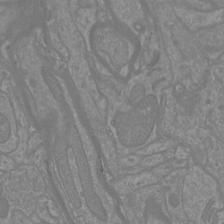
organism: Mouse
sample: Cortical neurons